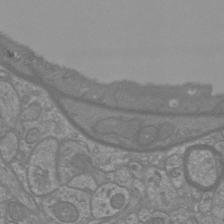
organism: Mouse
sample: Cortical neurons